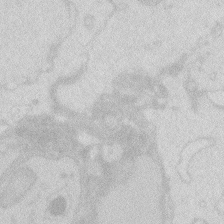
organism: Zebrafish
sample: Macrophage